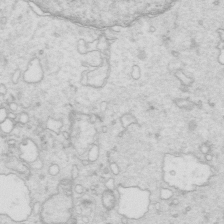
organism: Mouse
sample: Multiciliated cells